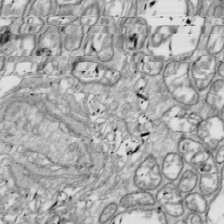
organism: Drosophila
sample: Cell division; meiosis; drosophila spermatocytes